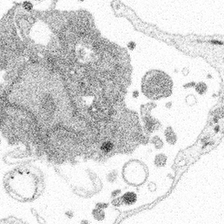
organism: Spongilla lacustris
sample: Multiple